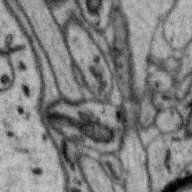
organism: Zebra finch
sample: Brain